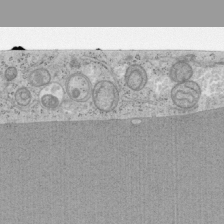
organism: Human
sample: HeLa cells